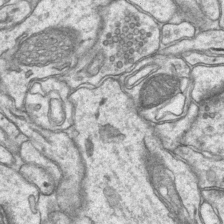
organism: Mouse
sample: CA1 Hippocampus